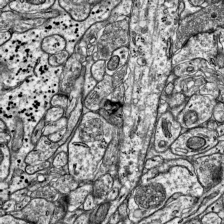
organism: Mouse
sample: Visual Cortex